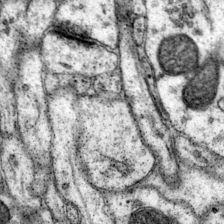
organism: Mouse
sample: Primary visual cortex